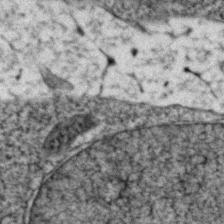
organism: Zebrafish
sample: Zebrafish embryo